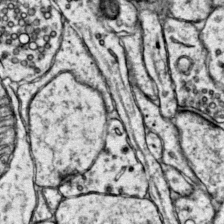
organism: Mouse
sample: Primary visual cortex